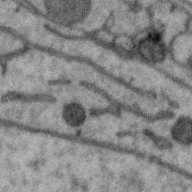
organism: Zebra finch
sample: Brain